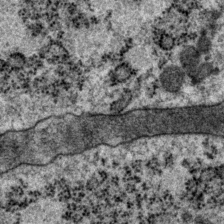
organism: P. pacificus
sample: Pharynx